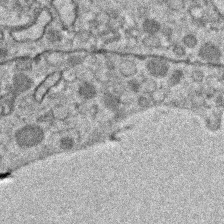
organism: Zebrafish